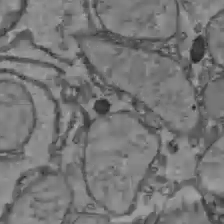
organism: C57BL Mouse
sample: Liver